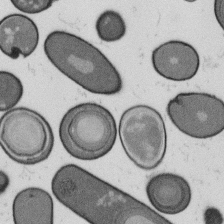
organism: B. subtilis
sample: Bacterial spore